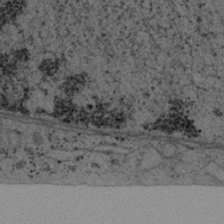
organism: Human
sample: HeLa cells